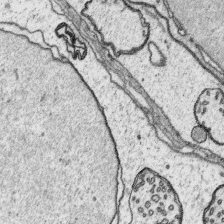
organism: Platynereis dumerilii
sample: Parapodia